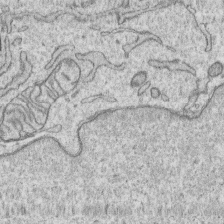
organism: Human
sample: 1205lu cells